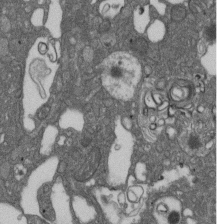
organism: Drosophila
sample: Nephrocyte